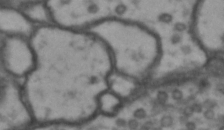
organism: Drosophila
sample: Brain